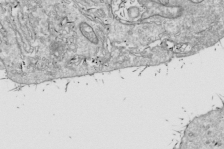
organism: Drosophila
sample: Cell division; meiosis; drosophila spermatocytes